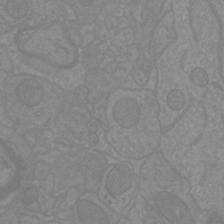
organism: Mouse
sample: Cortical neurons